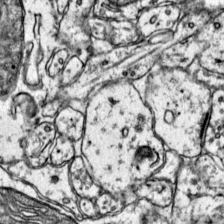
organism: Mouse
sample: Primary visual cortex